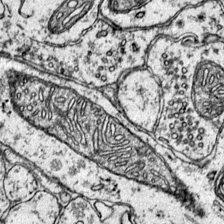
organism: Mouse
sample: Primary visual cortex